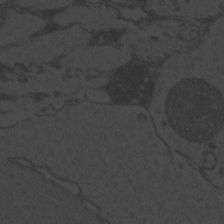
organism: Zebrafish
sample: Macrophage infected with Toxoplasma gondii